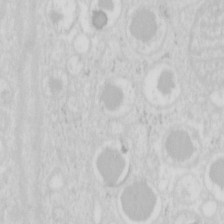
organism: Mouse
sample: Pancreas